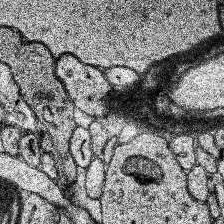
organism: Human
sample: Temporal Lobe